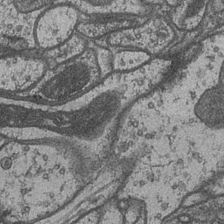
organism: Drosophila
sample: Optic medulla